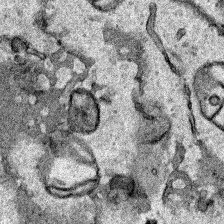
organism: Human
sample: Mitochondria in HCT116 cells